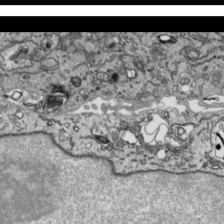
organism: Human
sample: Mitochondria in HCT116 cells